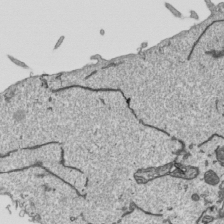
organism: Human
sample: Mitochondria in HCT116 cells